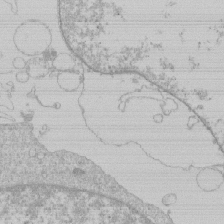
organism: Human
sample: Macrophage cells